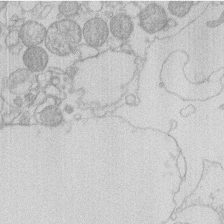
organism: Human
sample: Macrophage cells